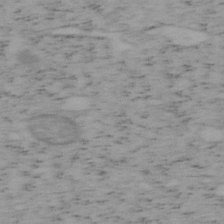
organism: Mouse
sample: OT-I killer T cells with ID8 ovarian cancer cells